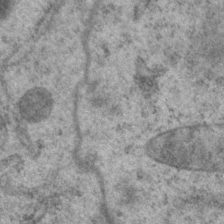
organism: P. pacificus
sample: Pharynx